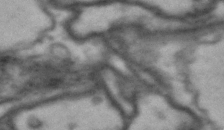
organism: Drosophila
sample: Brain